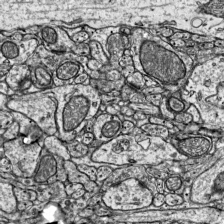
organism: Mouse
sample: Visual Cortex